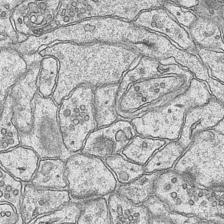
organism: Mouse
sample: CA1 Hippocampus